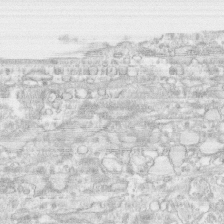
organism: Human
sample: CRL-1474